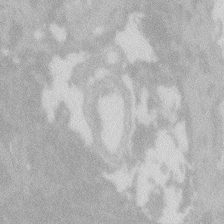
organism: Zebrafish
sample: Macrophage